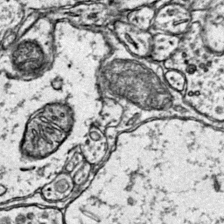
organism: Mouse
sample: Primary visual cortex